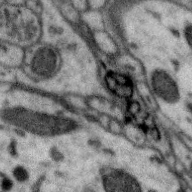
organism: Zebra finch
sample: Brain